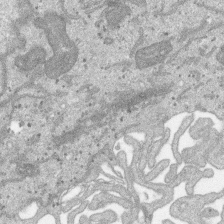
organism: Human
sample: Lung epithelial cells infected with SARS-CoV-2